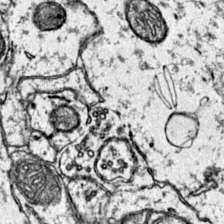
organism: Mouse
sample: Primary visual cortex